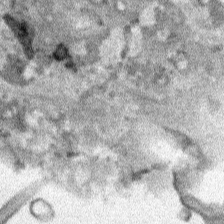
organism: Human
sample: Mitochondria in HCT116 cells